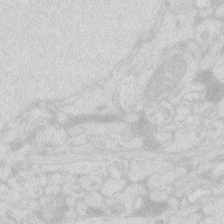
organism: Zebrafish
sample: Macrophage